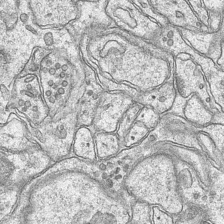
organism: Mouse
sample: CA1 Hippocampus